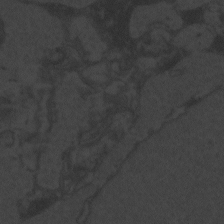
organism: Zebrafish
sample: Macrophage infected with Toxoplasma gondii